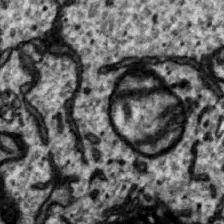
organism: Human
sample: HeLa cells